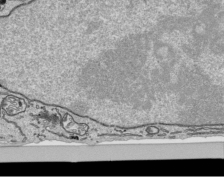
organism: Human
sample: Mitochondria in HCT116 cells